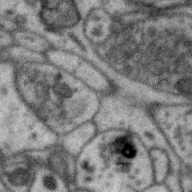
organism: Zebra finch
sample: Brain